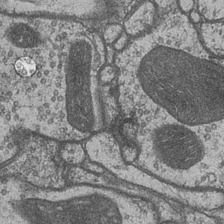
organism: Drosophila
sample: Optic medulla